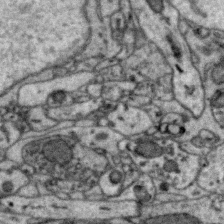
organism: Zebra finch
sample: Brain